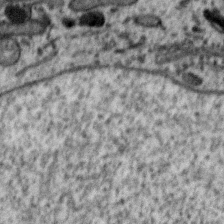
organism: Zebra finch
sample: Brain